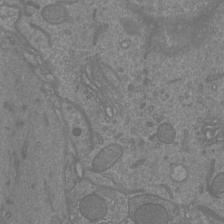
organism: Mouse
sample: Cortical neurons